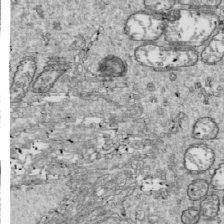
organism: Drosophila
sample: Cell division; meiosis; drosophila spermatocytes